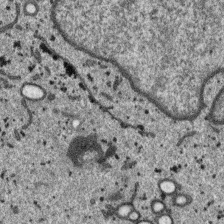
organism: Human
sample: Lung epithelial cells infected with SARS-CoV-2